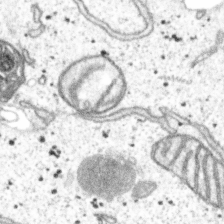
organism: Human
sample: HeLa cells